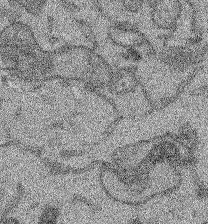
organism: Human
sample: HeLa cells